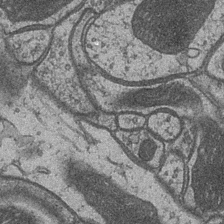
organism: Drosophila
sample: Optic medulla